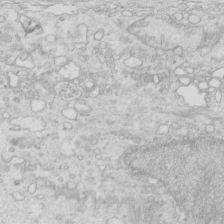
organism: Mouse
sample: Multiciliated cells